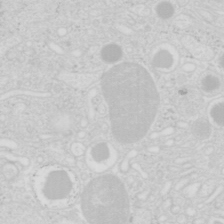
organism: Mouse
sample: Pancreas